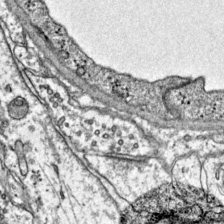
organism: Mouse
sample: Primary visual cortex